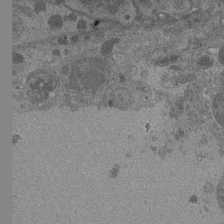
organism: Drosophila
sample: Antenna